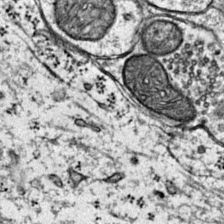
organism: Mouse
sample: Primary visual cortex